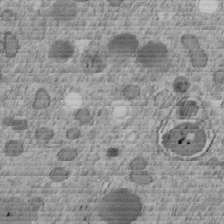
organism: C. elegans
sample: C. elegans embryo early stage